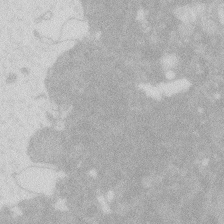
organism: Zebrafish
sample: Macrophage